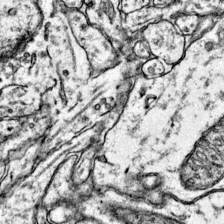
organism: Mouse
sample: Primary visual cortex